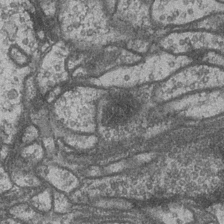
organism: Drosophila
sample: Optic medulla